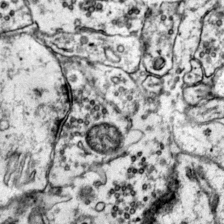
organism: Mouse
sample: Primary visual cortex